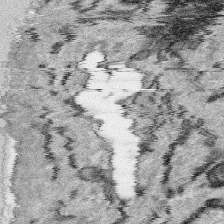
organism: Human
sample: HeLa cells